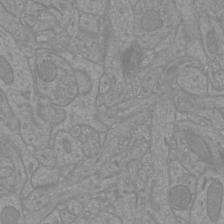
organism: Mouse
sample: Cortical neurons